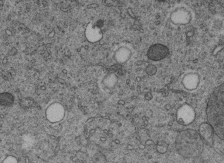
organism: C. elegans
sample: C. elegans embryo early stage